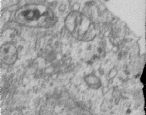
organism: Human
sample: Centriole in RPE cells